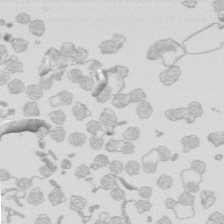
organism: Mouse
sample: Multiciliated cells